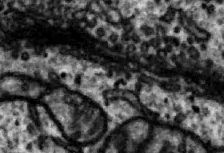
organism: Human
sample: HeLa cells